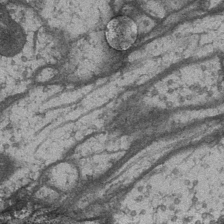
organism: Drosophila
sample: Optic medulla